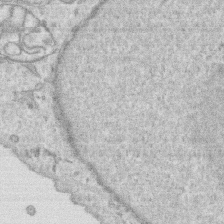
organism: Human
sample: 1205lu cells